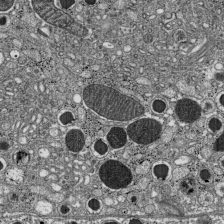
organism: C57BL Mouse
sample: Pancreatic islet